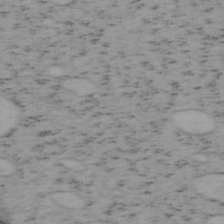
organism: Mouse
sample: OT-I killer T cells with ID8 ovarian cancer cells